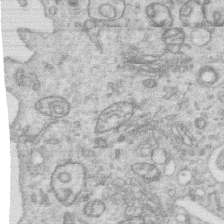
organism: Human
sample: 1205lu cells